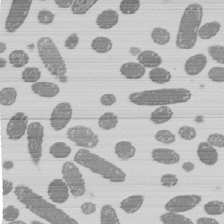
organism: E. coli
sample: Bacterial nucleoid